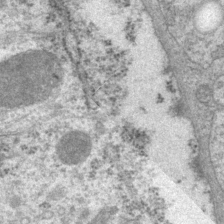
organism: P. pacificus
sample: Pharynx